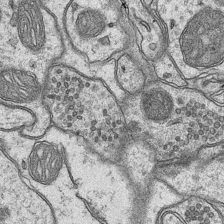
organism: Mouse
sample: CA1 Hippocampus